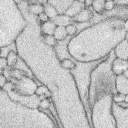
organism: Rabbit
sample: Retina